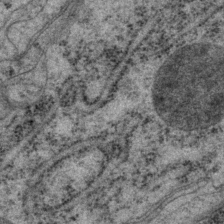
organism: P. pacificus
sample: Pharynx